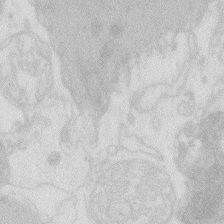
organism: Zebrafish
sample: Macrophage